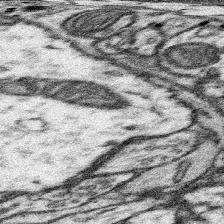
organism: Mouse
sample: Somatosensory cortex neuropil